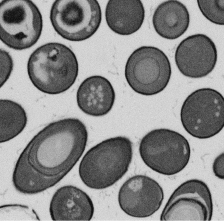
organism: B. subtilis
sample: Bacterial spore